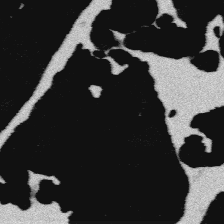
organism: Platynereis dumerilii